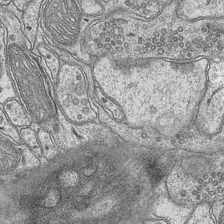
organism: Mouse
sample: CA1 Hippocampus